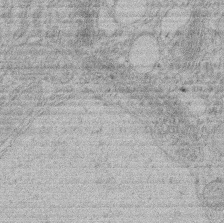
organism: Rat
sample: Salivary granule